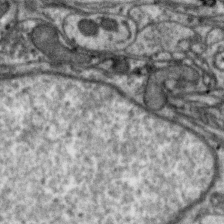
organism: Zebra finch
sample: Brain